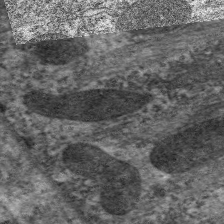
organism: C. elegans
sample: Pharynx